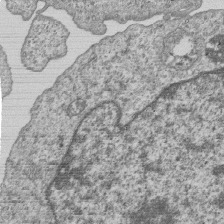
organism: Human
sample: MDA-MB-231 cells